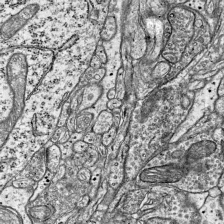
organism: Mouse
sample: Visual Cortex